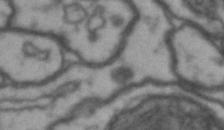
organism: Drosophila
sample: Brain